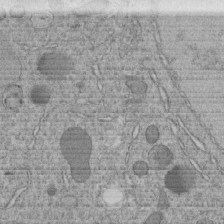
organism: C. elegans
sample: C. elegans embryo early stage